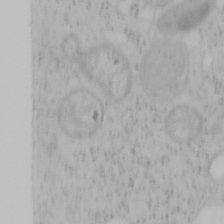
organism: Mouse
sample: OT-I killer T cells with ID8 ovarian cancer cells